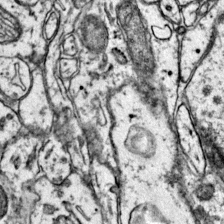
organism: Mouse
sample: Primary visual cortex